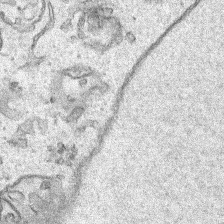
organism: Human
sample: Mitochondria in HCT116 cells